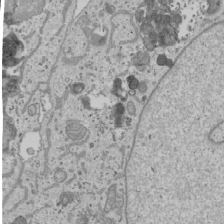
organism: Human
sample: Mitochondria in U2OS cells